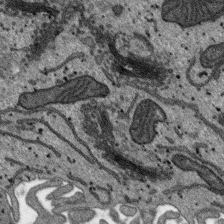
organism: Human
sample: Lung epithelial cells, uninfected (mock) control